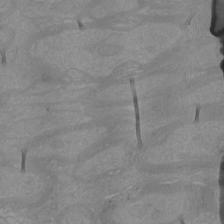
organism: Mouse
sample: Cortical neurons